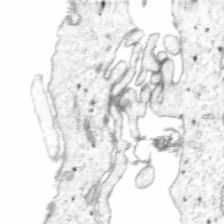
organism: Human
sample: HeLa cells